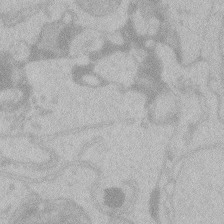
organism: Zebrafish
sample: Macrophage infected with Toxoplasma gondii